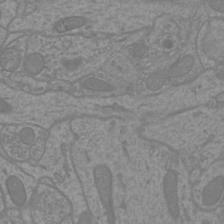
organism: Mouse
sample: Cortical neurons